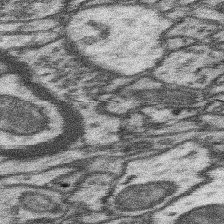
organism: Mouse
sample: Somatosensory cortex neuropil